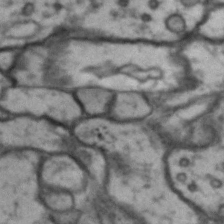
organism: Drosophila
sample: Brain